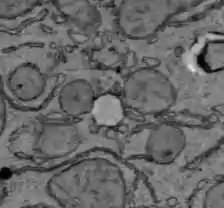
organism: C57BL Mouse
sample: Liver